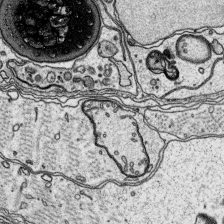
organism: Platynereis dumerilii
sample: Parapodia